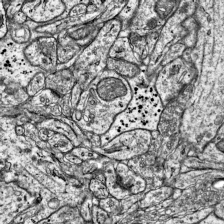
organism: Mouse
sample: Visual Cortex